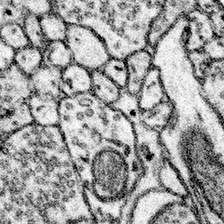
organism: Mouse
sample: Somatosensory cortex neuropil